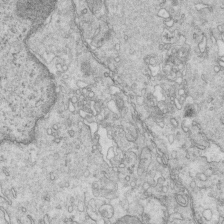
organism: Mouse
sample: Multiciliated cells